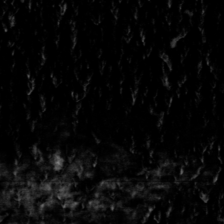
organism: Toxoplasma gondii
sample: Parasites in a vacuole inside a host cell